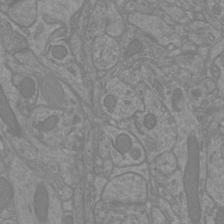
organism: Mouse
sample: Cortical neurons